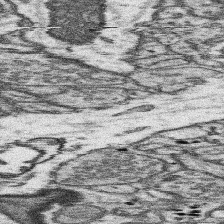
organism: Mouse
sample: Somatosensory cortex neuropil